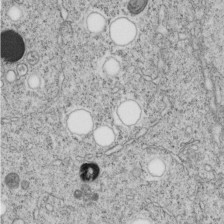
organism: C. elegans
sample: C. elegans embryo early stage